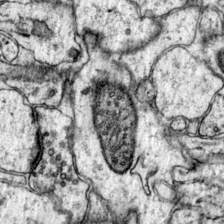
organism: Mouse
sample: Primary visual cortex